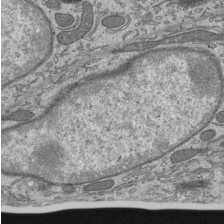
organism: Mouse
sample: Mouse epididymis efferent ductule cilia